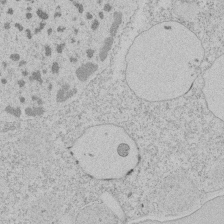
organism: Tetrahymena